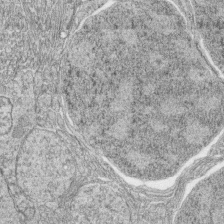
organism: Zebrafish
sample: synaptic ribbons in rod cells and cone cells